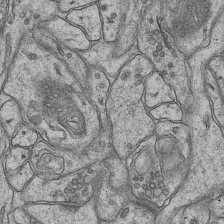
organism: Mouse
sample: CA1 Hippocampus